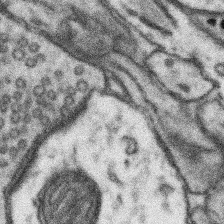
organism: Mouse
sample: Somatosensory cortex neuropil